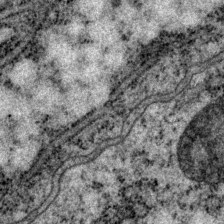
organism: P. pacificus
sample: Pharynx